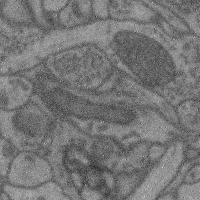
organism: Mouse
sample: Cerebral cortex